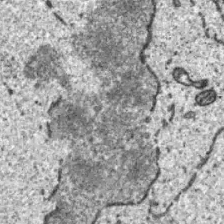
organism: Human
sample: HeLa cells